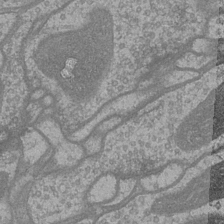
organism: Drosophila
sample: Optic medulla